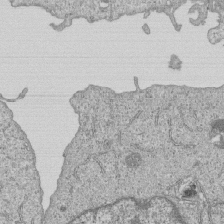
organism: Human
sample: MDA-MB-231 cells